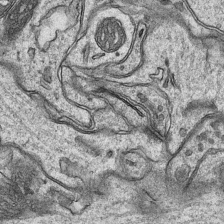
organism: Mouse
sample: CA1 Hippocampus